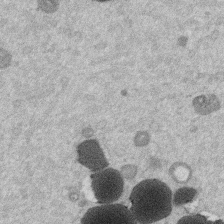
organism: Mouse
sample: Dividing mouse embryo 1 cell stage